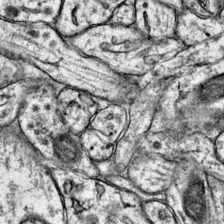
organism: Mouse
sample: Primary visual cortex